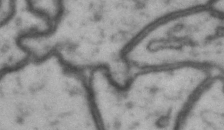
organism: Drosophila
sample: Brain